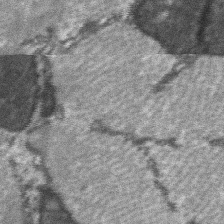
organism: C57BL Mouse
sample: Soleus